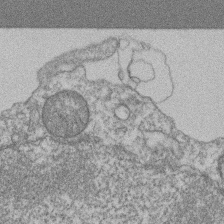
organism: Mouse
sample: T cell stromal cell synapse